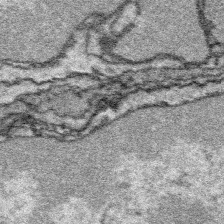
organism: Platynereis dumerilii